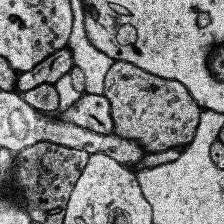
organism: Human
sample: Temporal Lobe